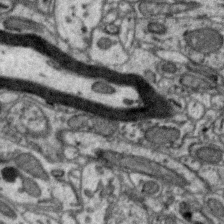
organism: Zebra finch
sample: Brain